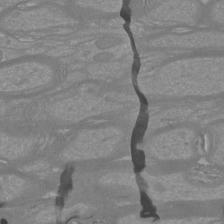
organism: Mouse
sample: Cortical neurons